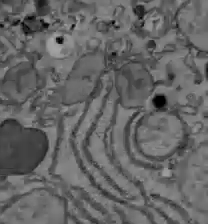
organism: C57BL Mouse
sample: Liver